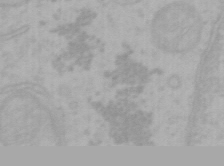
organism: Mouse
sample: Choroid plexus